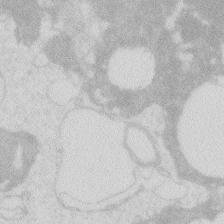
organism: Zebrafish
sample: Macrophage